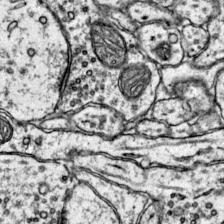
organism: Mouse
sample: Primary visual cortex